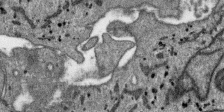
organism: Human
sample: Lung epithelial cells, uninfected (mock) control